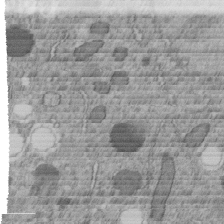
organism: C. elegans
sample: C. elegans embryo early stage